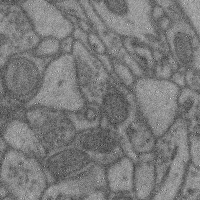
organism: Mouse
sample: Cerebral cortex